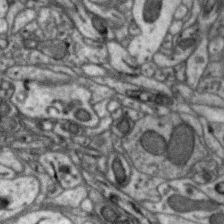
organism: Zebra finch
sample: Brain